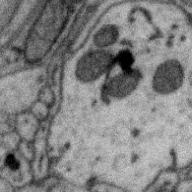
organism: Zebra finch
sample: Brain